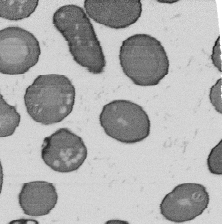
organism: B. subtilis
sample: Bacterial spore